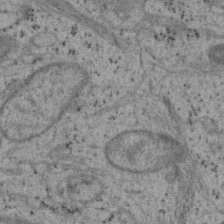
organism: Human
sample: HeLa cells